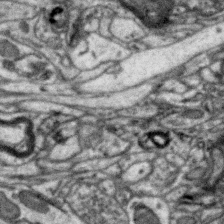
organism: Zebra finch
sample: Brain